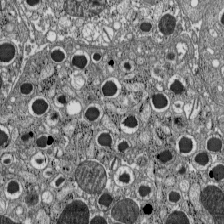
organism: C57BL Mouse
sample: Pancreatic islet